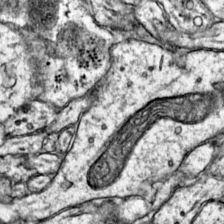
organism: Mouse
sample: Primary visual cortex